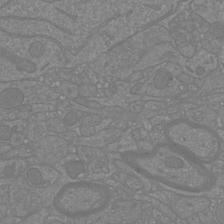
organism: Mouse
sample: Cortical neurons